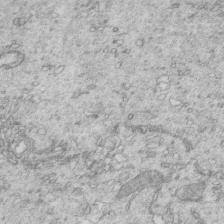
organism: Mouse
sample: Multiciliated cells